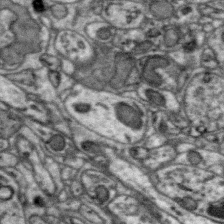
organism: Zebra finch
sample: Brain